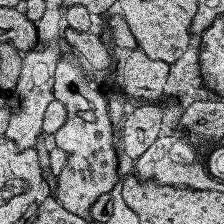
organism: Human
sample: Temporal Lobe